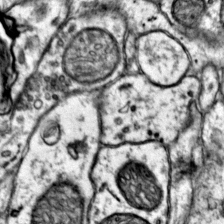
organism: Mouse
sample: Primary visual cortex